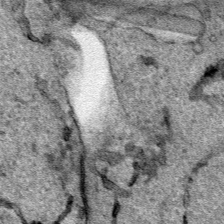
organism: Human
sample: Mitochondria in HCT116 cells